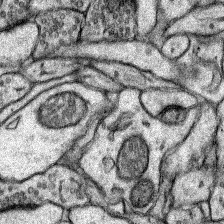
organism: Rat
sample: Hippocampus